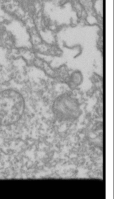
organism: Drosophila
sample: Cell division; meiosis; drosophila spermatocytes